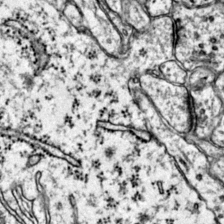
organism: Mouse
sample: Primary visual cortex